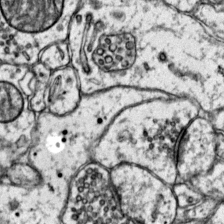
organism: Mouse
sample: Primary visual cortex